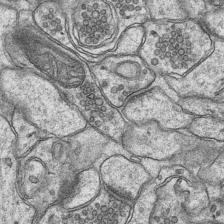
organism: Mouse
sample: CA1 Hippocampus